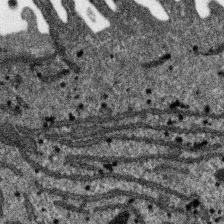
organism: Human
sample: Lung epithelial cells infected with SARS-CoV-2